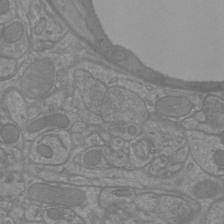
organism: Mouse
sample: Cortical neurons